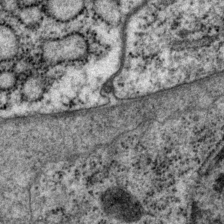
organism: P. pacificus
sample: Pharynx